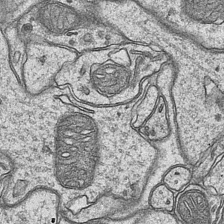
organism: Mouse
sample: CA1 Hippocampus